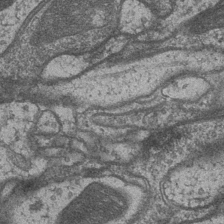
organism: Drosophila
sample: Optic medulla